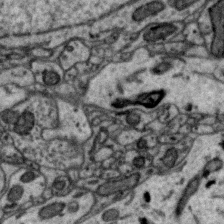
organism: Zebra finch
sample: Brain